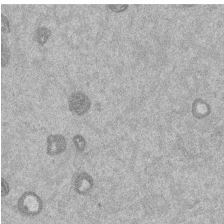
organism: Mouse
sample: Dividing mouse embryo 1 cell stage